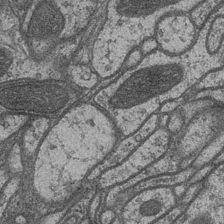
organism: Drosophila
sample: Optic medulla